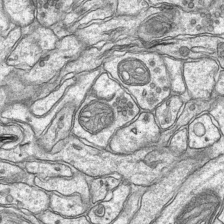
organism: Mouse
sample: CA1 Hippocampus